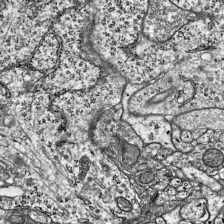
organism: Mouse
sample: Visual Cortex